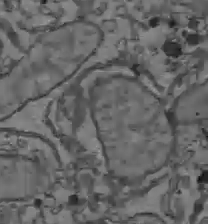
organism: C57BL Mouse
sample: Liver